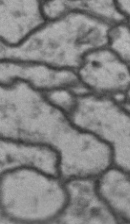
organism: Drosophila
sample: Brain